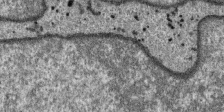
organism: Human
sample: Lung epithelial cells, uninfected (mock) control